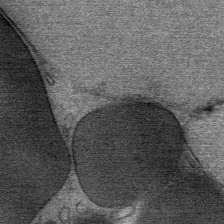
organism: Mouse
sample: Mouse Salivary gland